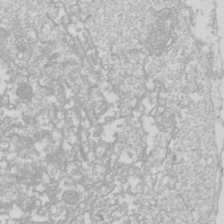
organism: Drosophila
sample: Cell division; meiosis; drosophila spermatocytes